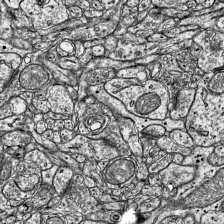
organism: Mouse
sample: Visual Cortex